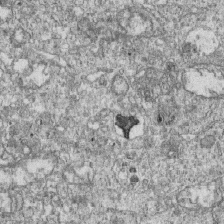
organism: Human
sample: HeLa cell HIV synapse